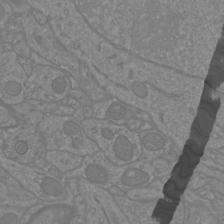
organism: Mouse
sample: Cortical neurons